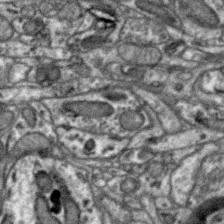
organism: Zebra finch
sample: Brain